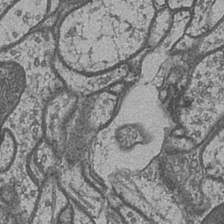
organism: Drosophila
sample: Optic medulla